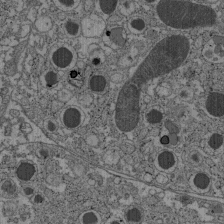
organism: C57BL Mouse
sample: Pancreatic islet